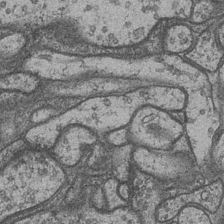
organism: Drosophila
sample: Optic medulla